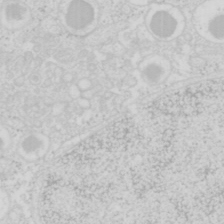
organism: Mouse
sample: Pancreas